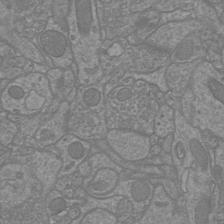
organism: Mouse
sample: Cortical neurons